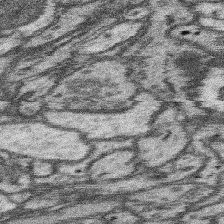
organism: Mouse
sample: Somatosensory cortex neuropil